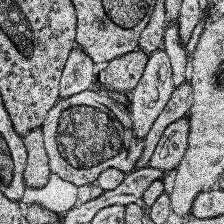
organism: Human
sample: Temporal Lobe